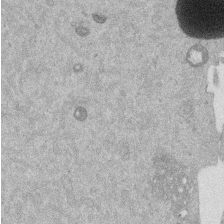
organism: Mouse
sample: Dividing mouse embryo 1 cell stage